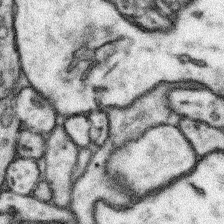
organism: Mouse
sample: Somatosensory cortex neuropil